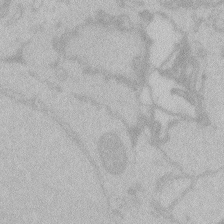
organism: Zebrafish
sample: Macrophage infected with Toxoplasma gondii